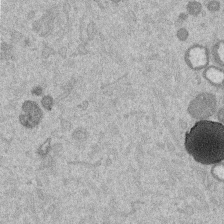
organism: Mouse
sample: Dividing mouse embryo 1 cell stage